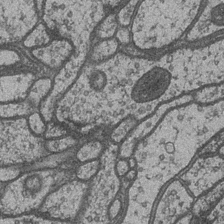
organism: Drosophila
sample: Optic medulla